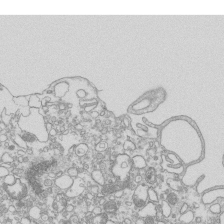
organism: Mouse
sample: Macrophages